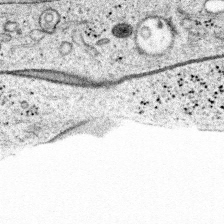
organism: Human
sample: HeLa cells